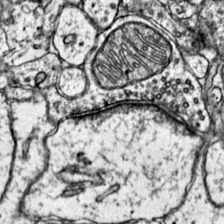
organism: Mouse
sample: Primary visual cortex